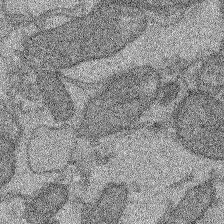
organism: Human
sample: HeLa cells